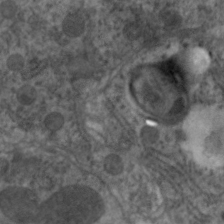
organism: C. elegans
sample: Pharynx